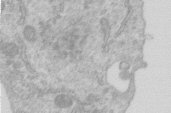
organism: Human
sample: Centriole in RPE cells